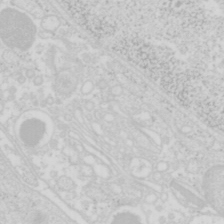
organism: Mouse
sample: Pancreas